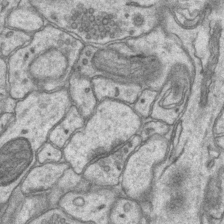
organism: Mouse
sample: CA1 Hippocampus